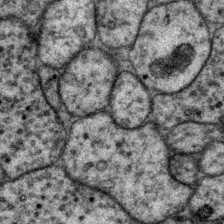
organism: P. pacificus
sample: Pharynx